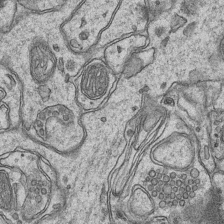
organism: Mouse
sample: CA1 Hippocampus